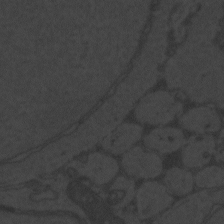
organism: Zebrafish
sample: Macrophage infected with Toxoplasma gondii